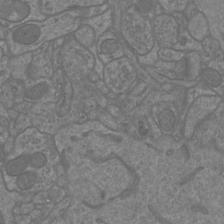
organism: Mouse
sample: Cortical neurons